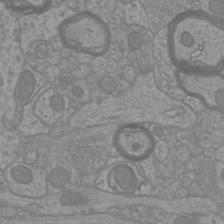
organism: Mouse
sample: Cortical neurons